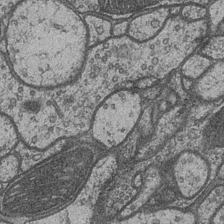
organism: Drosophila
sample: Optic medulla